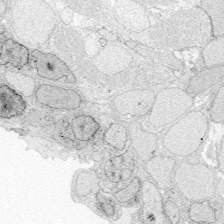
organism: Zebrafish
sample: Whole-Brain